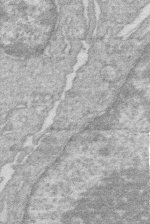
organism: Human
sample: Macrophage cells